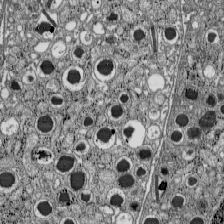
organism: C57BL Mouse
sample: Pancreatic islet